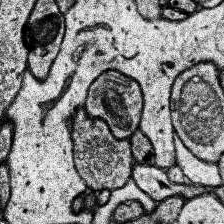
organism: Human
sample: Temporal Lobe